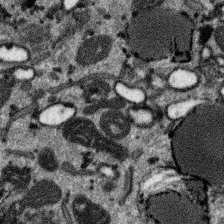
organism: Human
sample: Lung epithelial cells infected with SARS-CoV-2